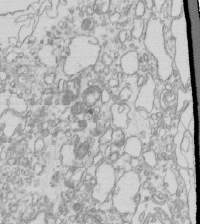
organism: Mouse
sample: Macrophages